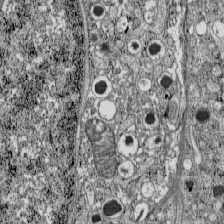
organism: C57BL Mouse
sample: Pancreatic islet